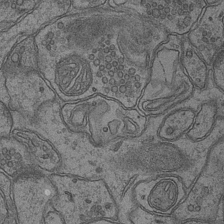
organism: Mouse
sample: CA1 Hippocampus